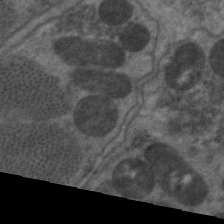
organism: C. elegans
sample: Pharynx